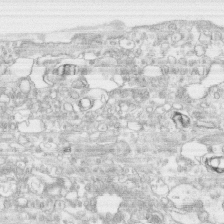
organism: Human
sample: CRL-1474